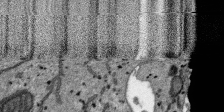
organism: Human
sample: Lung epithelial cells, uninfected (mock) control